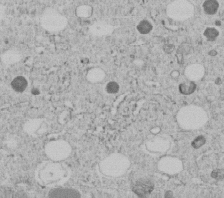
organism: C. elegans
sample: C. elegans embryo early stage